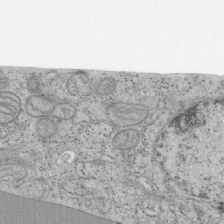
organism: Human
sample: HeLa cells